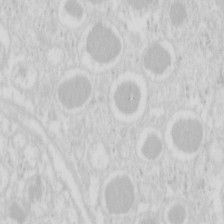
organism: Mouse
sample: Pancreas